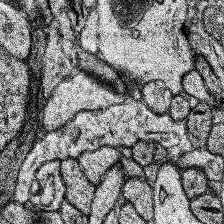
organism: Human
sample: Temporal Lobe